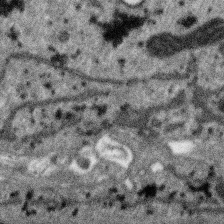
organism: Human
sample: Lung epithelial cells infected with SARS-CoV-2